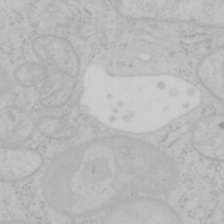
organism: Mouse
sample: OT-I killer T cells with ID8 ovarian cancer cells